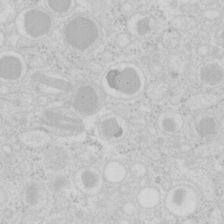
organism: Mouse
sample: Pancreas